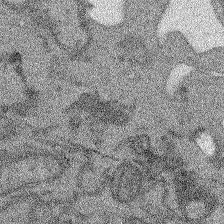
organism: Human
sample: HeLa cells